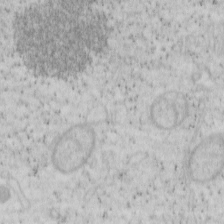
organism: Human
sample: HeLa cells